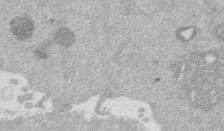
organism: Mouse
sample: Dividing mouse embryo 1 cell stage